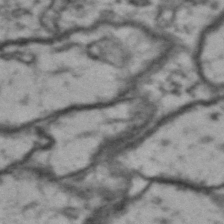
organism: Drosophila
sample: Brain